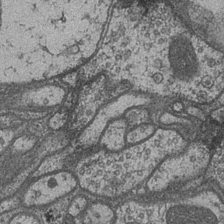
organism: Drosophila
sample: Optic medulla